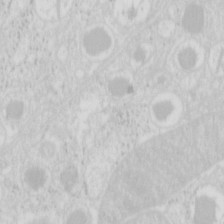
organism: Mouse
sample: Pancreas